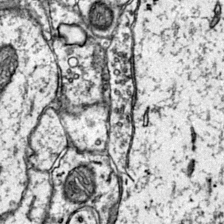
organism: Mouse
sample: Primary visual cortex